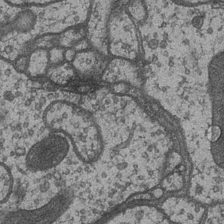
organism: Drosophila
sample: Optic medulla